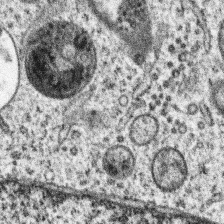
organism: Human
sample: HeLa cells